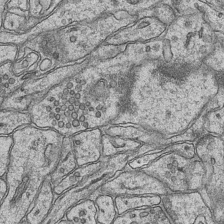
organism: Mouse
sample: CA1 Hippocampus